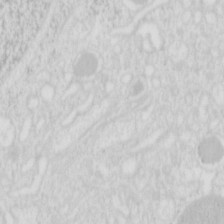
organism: Mouse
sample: Pancreas